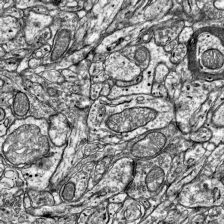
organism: Mouse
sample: Visual Cortex